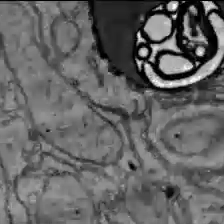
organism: C57BL Mouse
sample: Liver